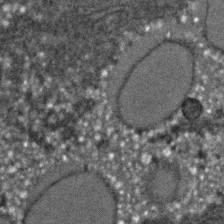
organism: C. elegans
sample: C. elegans embryo